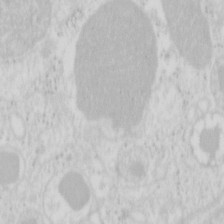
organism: Mouse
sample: Pancreas